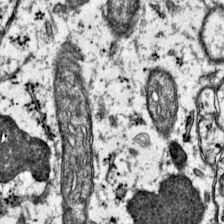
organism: Mouse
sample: Primary visual cortex